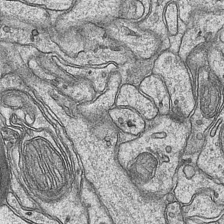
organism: Mouse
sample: CA1 Hippocampus